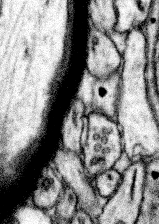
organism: Mouse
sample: Somatosensory cortex neuropil